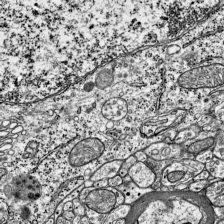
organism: Mouse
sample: Visual Cortex